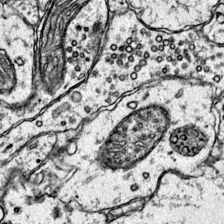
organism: Mouse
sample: Primary visual cortex